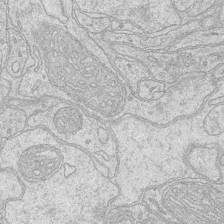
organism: Mouse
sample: CA1 Hippocampus